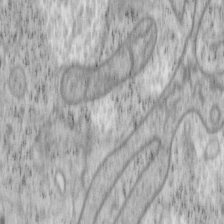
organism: Human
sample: HeLa cells